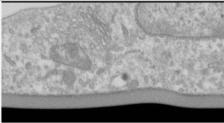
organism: Human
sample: Cilia; basal body in RPE cells